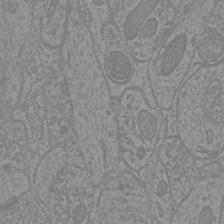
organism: Mouse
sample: Cortical neurons